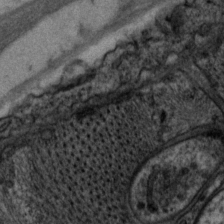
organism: P. pacificus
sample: Pharynx